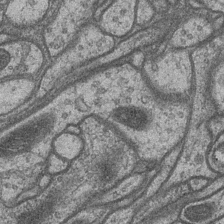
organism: Drosophila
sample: Optic medulla